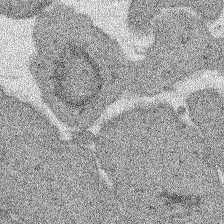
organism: Human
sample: HeLa cells